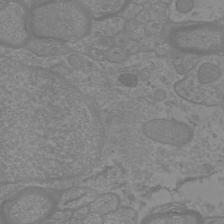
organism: Mouse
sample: Cortical neurons